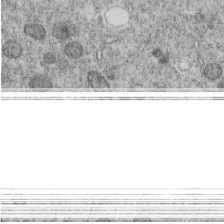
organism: C. elegans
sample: C. elegans embryo early stage